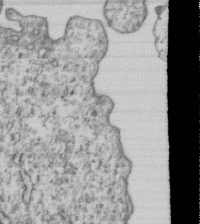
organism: Human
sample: MDA-MB-231 cells